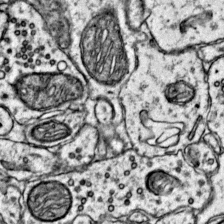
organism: Mouse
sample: Primary visual cortex